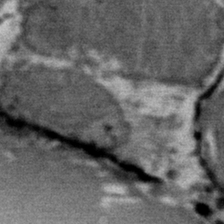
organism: Mouse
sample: Mouse Salivary gland